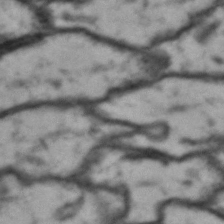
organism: Drosophila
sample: Brain